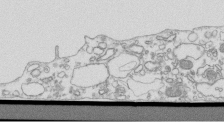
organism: Mouse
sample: Macrophages